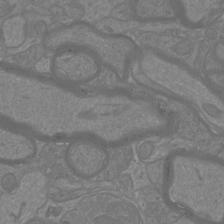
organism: Mouse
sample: Cortical neurons